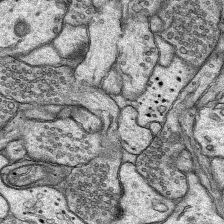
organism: Rat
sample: Hippocampus